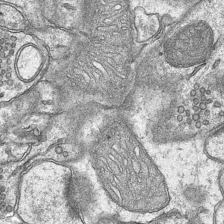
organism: Mouse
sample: CA1 Hippocampus